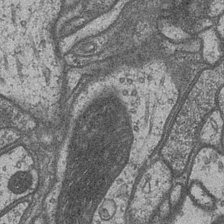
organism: Drosophila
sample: Optic medulla